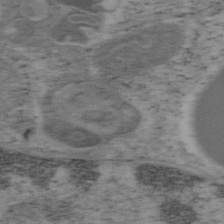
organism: Mouse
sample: OT-I killer T cells with ID8 ovarian cancer cells